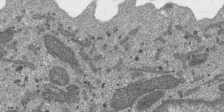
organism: Human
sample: Lung epithelial cells infected with SARS-CoV-2